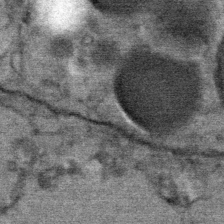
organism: Mouse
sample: Mouse Salivary gland